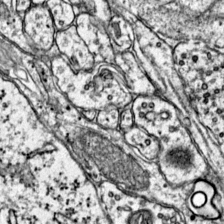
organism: Mouse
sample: Primary visual cortex